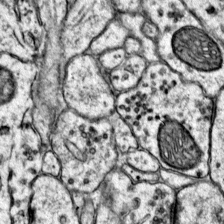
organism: Mouse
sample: Primary visual cortex